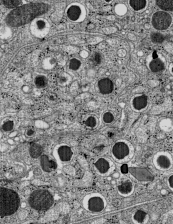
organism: C57BL Mouse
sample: Pancreatic islet